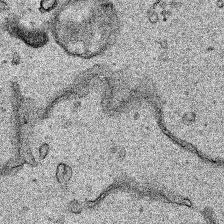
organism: Human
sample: Mitochondria in HCT116 cells